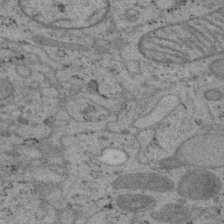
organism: Human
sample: HeLa cells